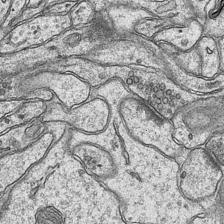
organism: Mouse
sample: CA1 Hippocampus